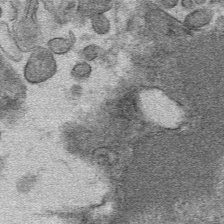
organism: Mouse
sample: Mouse hepatocytes